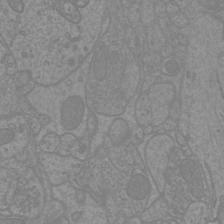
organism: Mouse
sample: Cortical neurons